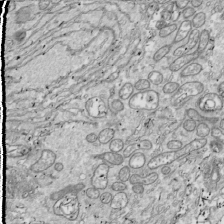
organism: Drosophila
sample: Cell division; meiosis; drosophila spermatocytes